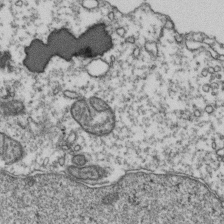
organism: Human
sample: Activated Jurkat CD4+ T cells